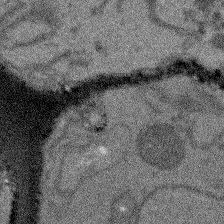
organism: Arabidopsis thaliana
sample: Root tip